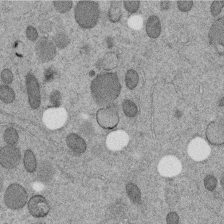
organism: C. elegans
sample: C. elegans embryo early stage